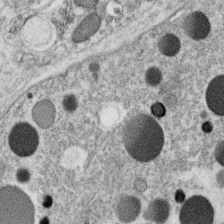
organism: C. elegans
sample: C. elegans oocyte; sperm cells